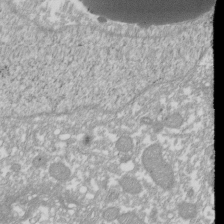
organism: Xenopus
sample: Cilia; centrioles in frog embryo cells